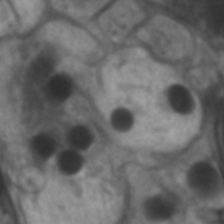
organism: C. elegans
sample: Pharynx